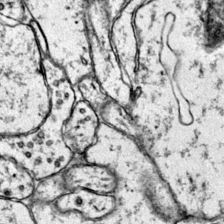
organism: Mouse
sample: Primary visual cortex